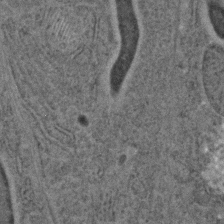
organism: C. elegans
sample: C. elegans embryo